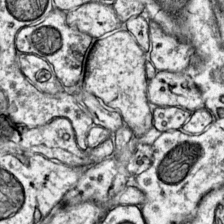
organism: Mouse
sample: Primary visual cortex